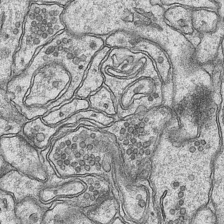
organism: Mouse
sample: CA1 Hippocampus